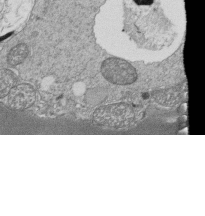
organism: Tetrahymena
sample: Cilia in tetrahymena